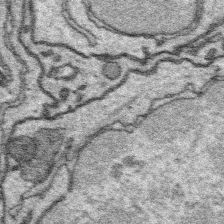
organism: Platynereis dumerilii